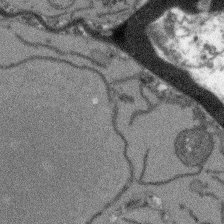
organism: Arabidopsis thaliana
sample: Root tip